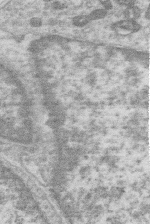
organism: Human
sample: Macrophage cells